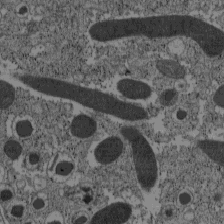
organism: C57BL Mouse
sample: Pancreatic islet